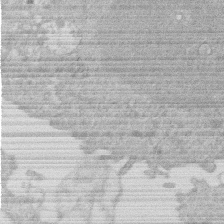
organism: Human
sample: Macrophage cells